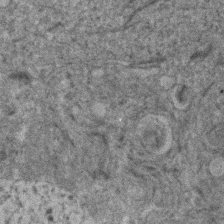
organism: Human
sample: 1205lu cells